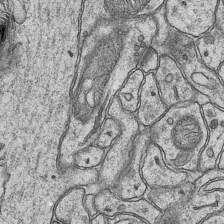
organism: Mouse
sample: CA1 Hippocampus